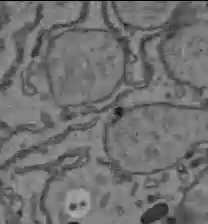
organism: C57BL Mouse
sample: Liver